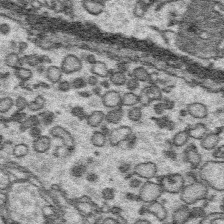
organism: Platynereis dumerilii